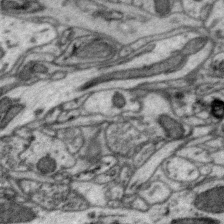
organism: Zebra finch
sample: Brain